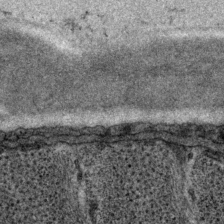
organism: P. pacificus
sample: Pharynx